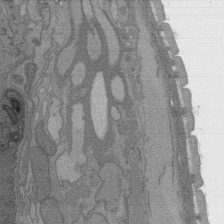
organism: C. elegans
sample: AFD neurons C. elegans